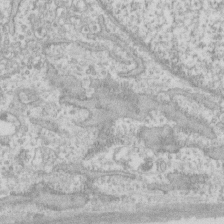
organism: Human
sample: Fibroblast cells